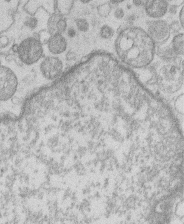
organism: Human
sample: Macrophage cells